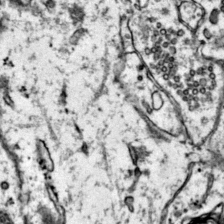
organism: Mouse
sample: Primary visual cortex